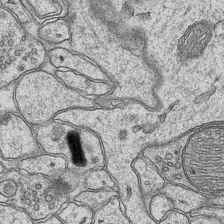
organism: Mouse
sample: CA1 Hippocampus